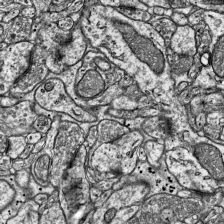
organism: Mouse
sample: Visual Cortex